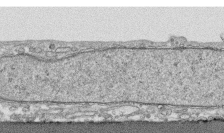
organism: Human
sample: CRL-1474